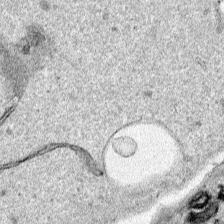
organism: Human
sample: Mitochondria in HCT116 cells